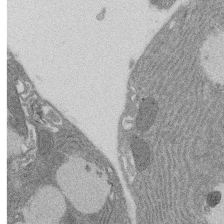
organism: Rat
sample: Salivary granule